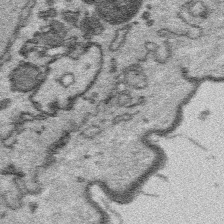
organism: Platynereis dumerilii